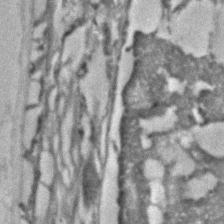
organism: C. elegans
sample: C. elegans embryo